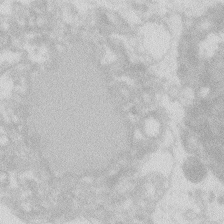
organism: Zebrafish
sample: Macrophage